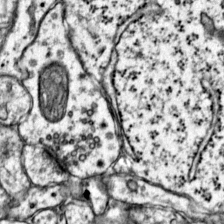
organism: Mouse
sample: Primary visual cortex